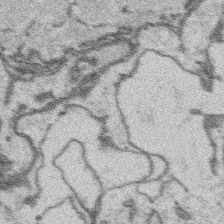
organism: Platynereis dumerilii